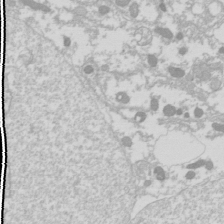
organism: Drosophila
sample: Cell division; meiosis; drosophila spermatocytes